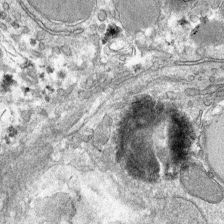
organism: Mouse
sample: Mouse hepatocytes